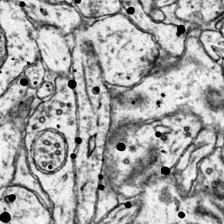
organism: Mouse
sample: Primary visual cortex